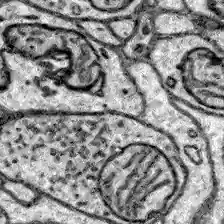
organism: Zebrafish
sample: Brain